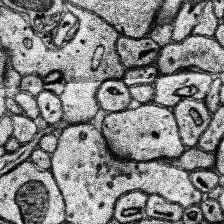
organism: Human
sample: Temporal Lobe